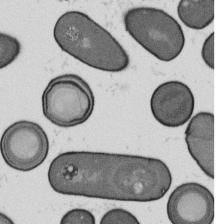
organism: B. subtilis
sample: Bacterial spore